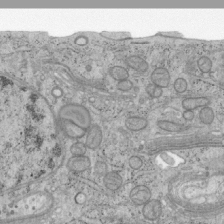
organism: Human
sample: HeLa cells